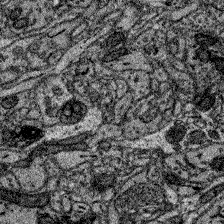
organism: Zebrafish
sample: Larval olfactory bulb